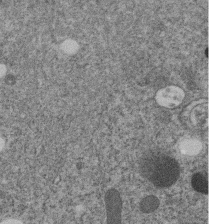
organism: C. elegans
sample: C. elegans embryo early stage